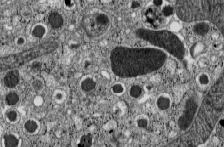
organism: C57BL Mouse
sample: Pancreatic islet